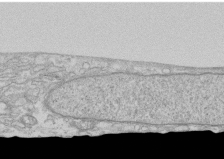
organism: Human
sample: CRL-1474